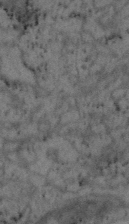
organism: Human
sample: HeLa cells